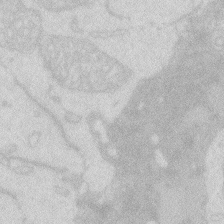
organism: Zebrafish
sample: Macrophage